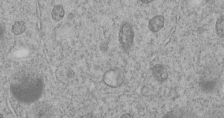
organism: C. elegans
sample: C. elegans embryo early stage